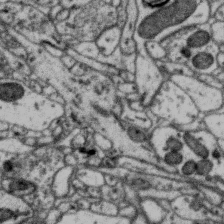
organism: Zebra finch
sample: Brain